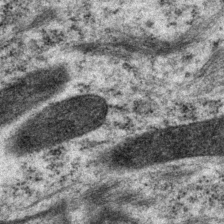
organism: P. pacificus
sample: Pharynx